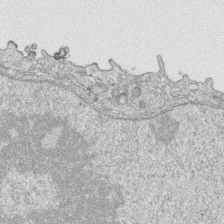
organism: Human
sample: HeLa cell HIV synapse